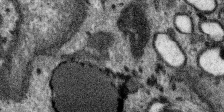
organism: Human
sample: Lung epithelial cells infected with SARS-CoV-2